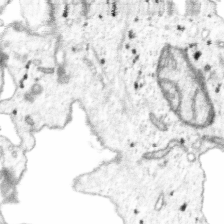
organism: Human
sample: HeLa cells